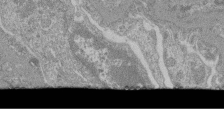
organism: Mouse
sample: Glomerulus